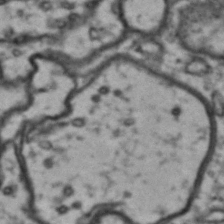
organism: Drosophila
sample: Brain